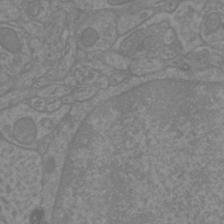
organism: Mouse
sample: Cortical neurons